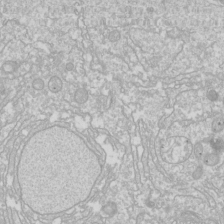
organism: Drosophila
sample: Cell division; meiosis; drosophila spermatocytes